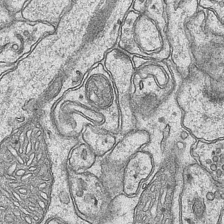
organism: Mouse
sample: CA1 Hippocampus